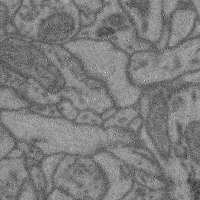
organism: Mouse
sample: Cerebral cortex